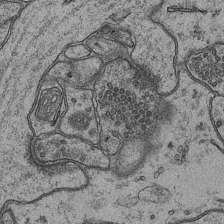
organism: Mouse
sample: CA1 Hippocampus